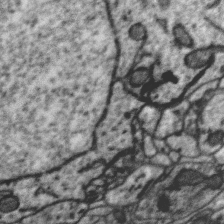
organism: Zebra finch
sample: Brain